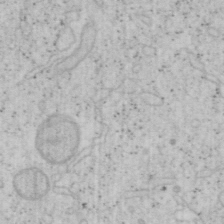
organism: Human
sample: HeLa cells